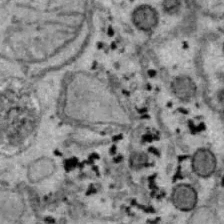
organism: Mouse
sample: Liver from an obese (ob/ob) mouse